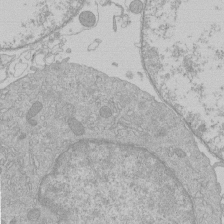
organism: Human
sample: Macrophage cells